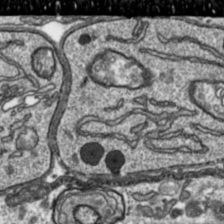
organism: Toxoplasma gondii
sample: Parasites in a vacuole inside a host cell